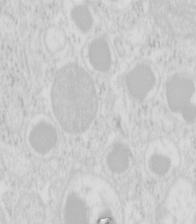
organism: Mouse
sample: Pancreas